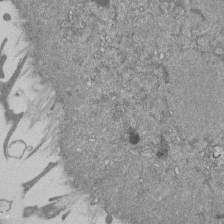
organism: Mouse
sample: ED-1 cell nuclei; centrioles